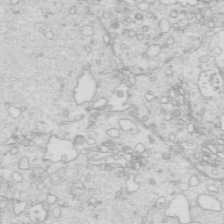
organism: Mouse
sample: Multiciliated cells